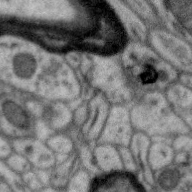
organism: Zebra finch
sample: Brain